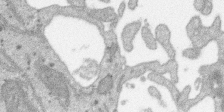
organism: Human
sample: Lung epithelial cells infected with SARS-CoV-2